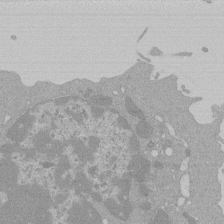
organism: Mouse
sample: Activated Pmel transgenic CD8+ T Cells